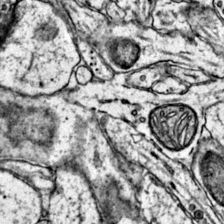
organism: Mouse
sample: Primary visual cortex